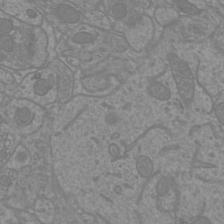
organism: Mouse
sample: Cortical neurons